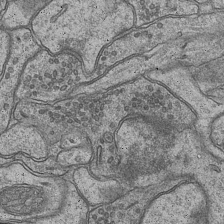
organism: Mouse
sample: CA1 Hippocampus